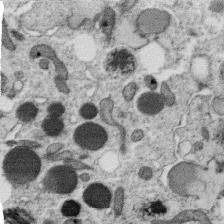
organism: C. elegans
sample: C. elegans oocyte; sperm cells